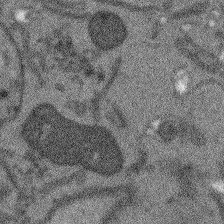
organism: Arabidopsis thaliana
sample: Root tip